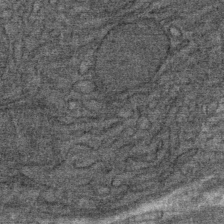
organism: Mouse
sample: Mouse Salivary gland